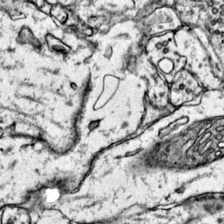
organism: Mouse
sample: Primary visual cortex